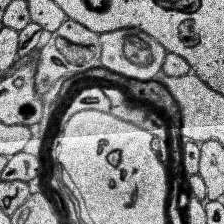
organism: Human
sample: Temporal Lobe